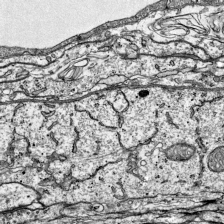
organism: Mouse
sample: Visual Cortex